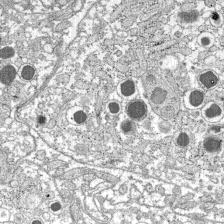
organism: C57BL Mouse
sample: Pancreatic islet